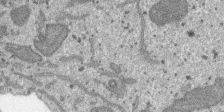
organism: Human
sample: Lung epithelial cells infected with SARS-CoV-2